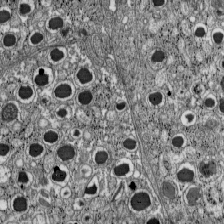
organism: C57BL Mouse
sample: Pancreatic islet